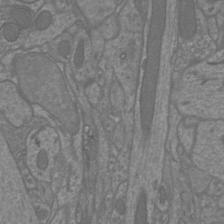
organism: Mouse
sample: Cortical neurons